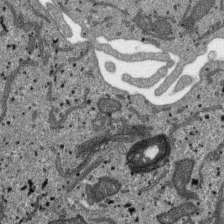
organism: Human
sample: Lung epithelial cells infected with SARS-CoV-2